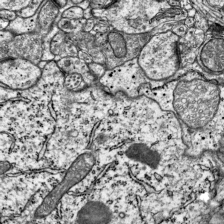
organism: Mouse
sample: Visual Cortex